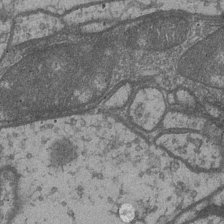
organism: Drosophila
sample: Optic medulla